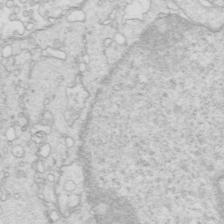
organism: Mouse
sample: Multiciliated cells